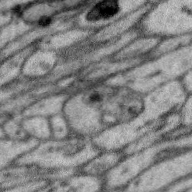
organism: Zebra finch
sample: Brain